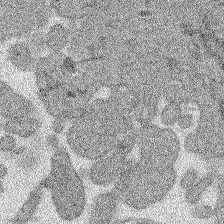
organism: Human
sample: HeLa cells